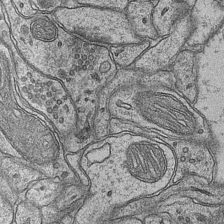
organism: Mouse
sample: CA1 Hippocampus